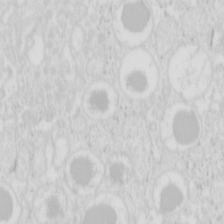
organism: Mouse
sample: Pancreas